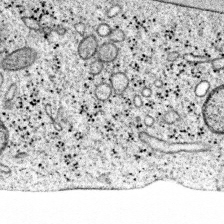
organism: Human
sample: HeLa cells